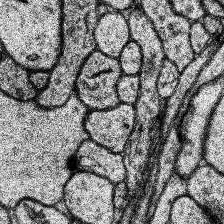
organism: Human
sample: Temporal Lobe